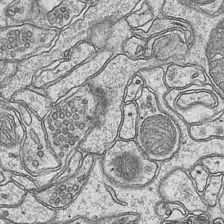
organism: Mouse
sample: CA1 Hippocampus